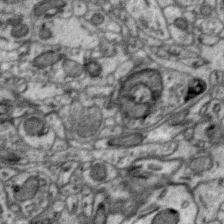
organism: Zebra finch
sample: Brain